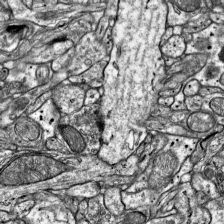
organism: Mouse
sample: Visual Cortex